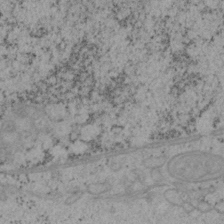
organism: Human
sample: HeLa cells